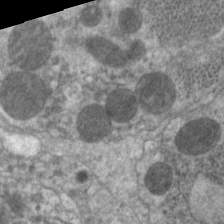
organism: C. elegans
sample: Pharynx